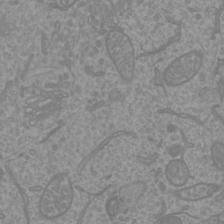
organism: Mouse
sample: Cortical neurons